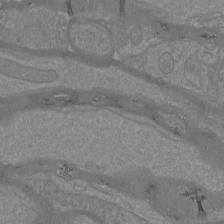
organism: Mouse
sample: Cortical neurons